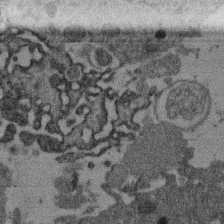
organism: Mouse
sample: Dividing mouse embryo 1 cell stage